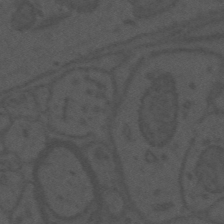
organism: Mouse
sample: Suprachiasmatic nucleus